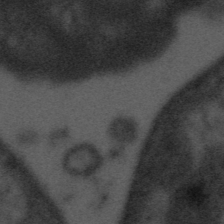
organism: Tuwongella immobilis